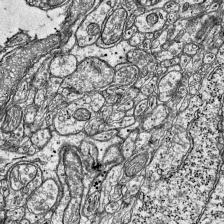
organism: Mouse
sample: Visual Cortex